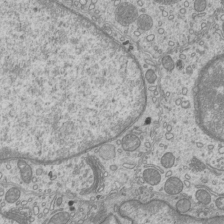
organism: Mouse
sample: Cilia; mouse epididymis